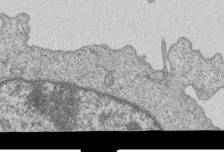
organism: Human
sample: MDA-MB-231 cells